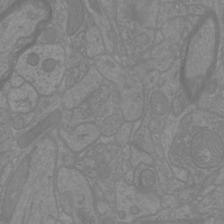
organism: Mouse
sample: Cortical neurons